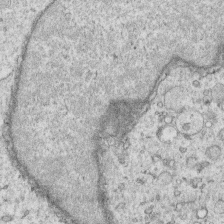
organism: Human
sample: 1205lu cells